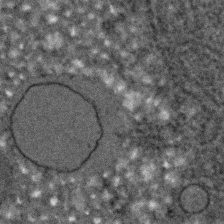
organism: C. elegans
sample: C. elegans embryo